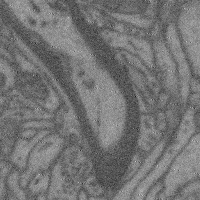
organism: Mouse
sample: Cerebral cortex